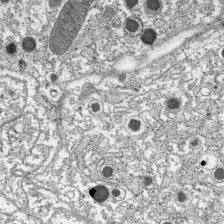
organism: C57BL Mouse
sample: Pancreatic islet